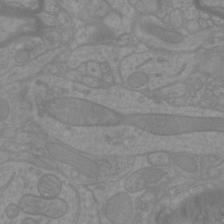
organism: Mouse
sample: Cortical neurons